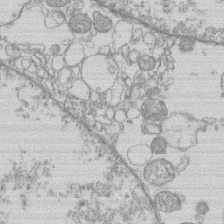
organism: Human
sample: Macrophage cells